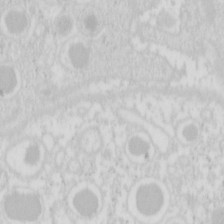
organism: Mouse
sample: Pancreas